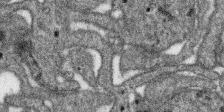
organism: Human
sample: Lung epithelial cells infected with SARS-CoV-2